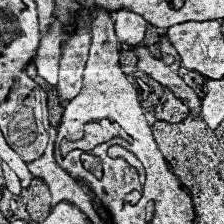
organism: Human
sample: Temporal Lobe